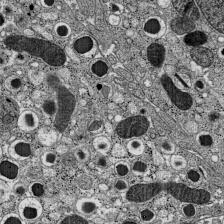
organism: C57BL Mouse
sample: Pancreatic islet